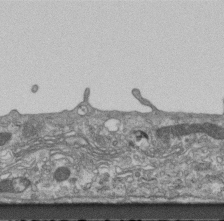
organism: Mouse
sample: Centriole in ependymal cells